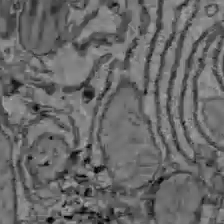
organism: C57BL Mouse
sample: Liver